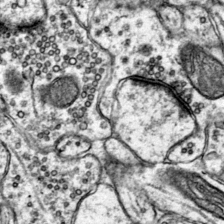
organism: Mouse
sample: Primary visual cortex